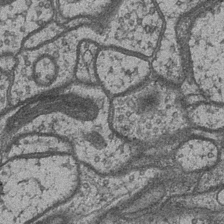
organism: Drosophila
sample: Optic medulla